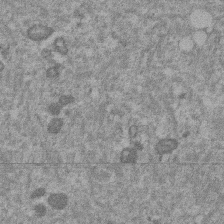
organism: Mouse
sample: Dividing mouse embryo 1 cell stage